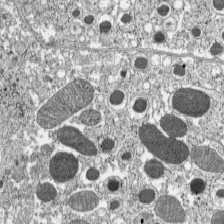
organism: C57BL Mouse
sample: Pancreatic islet